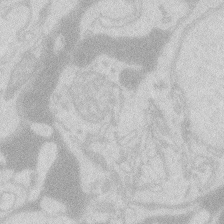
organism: Zebrafish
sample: Macrophage